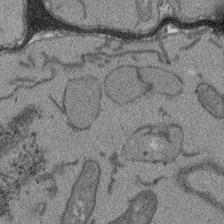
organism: Arabidopsis thaliana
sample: Root tip